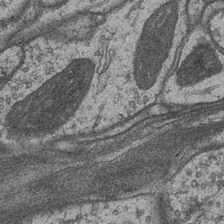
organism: Drosophila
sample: Optic medulla